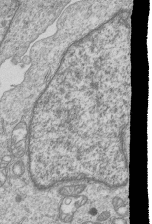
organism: Human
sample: MDA-MB-231 cells